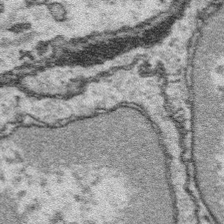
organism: Platynereis dumerilii